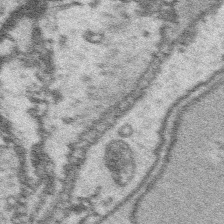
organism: Platynereis dumerilii